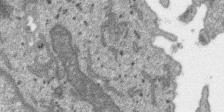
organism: Human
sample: Lung epithelial cells infected with SARS-CoV-2